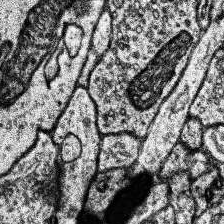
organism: Human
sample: Temporal Lobe